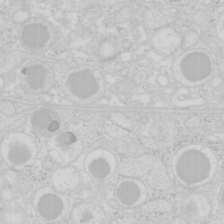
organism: Mouse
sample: Pancreas